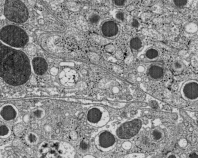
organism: C57BL Mouse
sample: Pancreatic islet